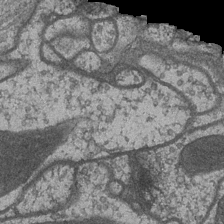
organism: Drosophila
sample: Optic medulla